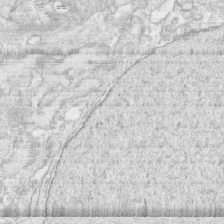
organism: Human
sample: CRL-1474